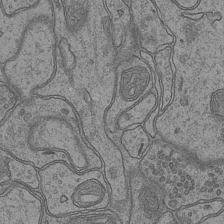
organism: Mouse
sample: CA1 Hippocampus